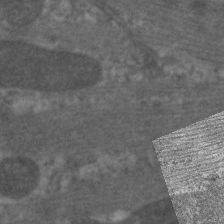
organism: C. elegans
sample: Pharynx